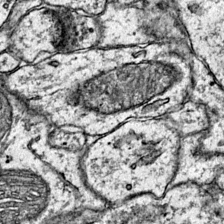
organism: Mouse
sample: Primary visual cortex